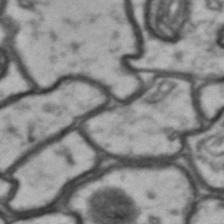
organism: Drosophila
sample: Brain